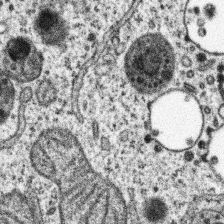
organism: Human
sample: HeLa cells